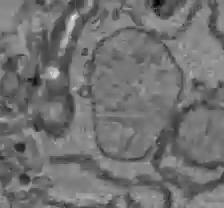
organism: C57BL Mouse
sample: Liver